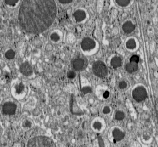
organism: C57BL Mouse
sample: Pancreatic islet